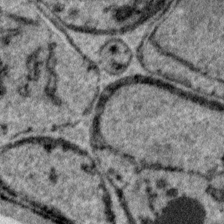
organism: Plasmodium falciparum